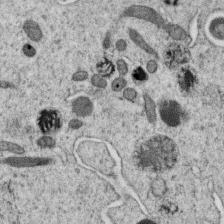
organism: C. elegans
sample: C. elegans oocyte; sperm cells